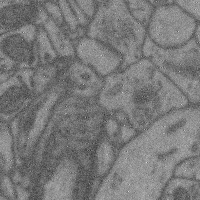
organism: Mouse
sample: Cerebral cortex